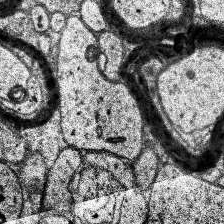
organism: Human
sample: Temporal Lobe